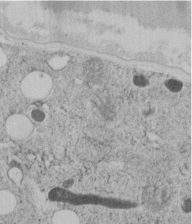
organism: C. elegans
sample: C. elegans embryo early stage